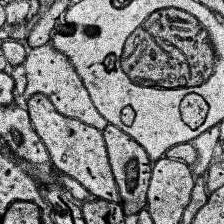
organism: Human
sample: Temporal Lobe